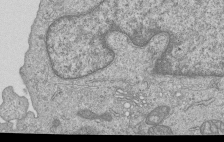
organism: Human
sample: MDA-MB-231 cells